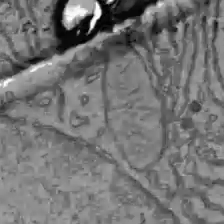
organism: C57BL Mouse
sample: Liver